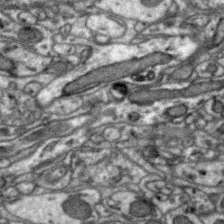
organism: Zebra finch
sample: Brain